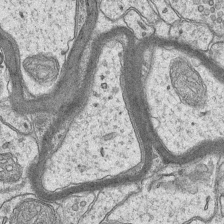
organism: Mouse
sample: CA1 Hippocampus